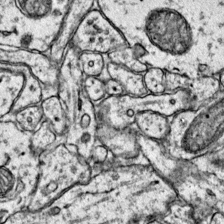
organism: Mouse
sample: Primary visual cortex